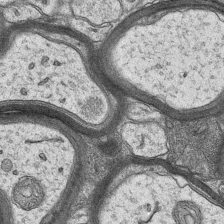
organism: Mouse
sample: CA1 Hippocampus